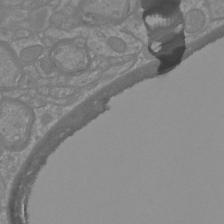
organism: Mouse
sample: Cortical neurons